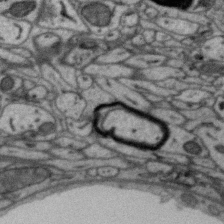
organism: Zebra finch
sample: Brain